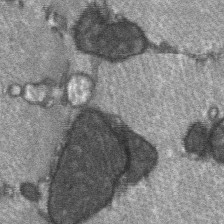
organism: C57BL Mouse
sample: Soleus